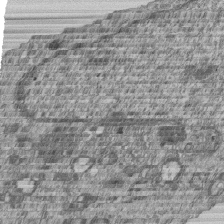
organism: Human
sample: MDA-MB-231 cells